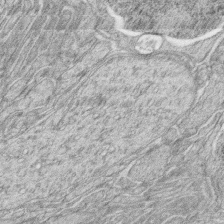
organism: Zebrafish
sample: synaptic ribbons in rod cells and cone cells